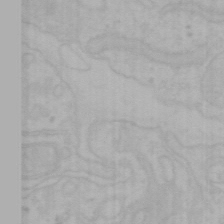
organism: Mouse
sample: Choroid plexus